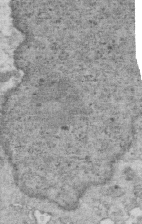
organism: Mouse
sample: Multiciliated cells